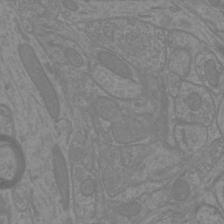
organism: Mouse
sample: Cortical neurons